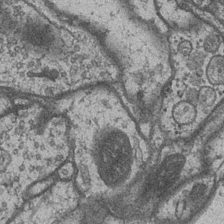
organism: Drosophila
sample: Optic medulla